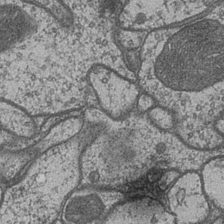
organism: Drosophila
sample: Optic medulla